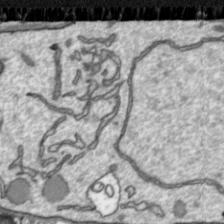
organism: Toxoplasma gondii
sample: Parasites in a vacuole inside a host cell